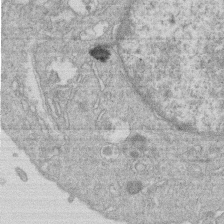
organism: Human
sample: Macrophage cells